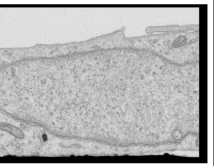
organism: Human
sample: Centriole in RPE cells